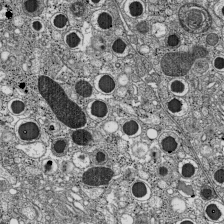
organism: C57BL Mouse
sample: Pancreatic islet